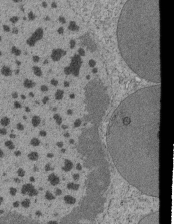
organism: Tetrahymena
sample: Cilia in tetrahymena